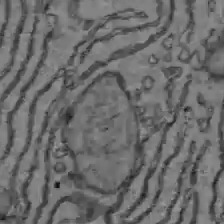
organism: C57BL Mouse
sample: Liver